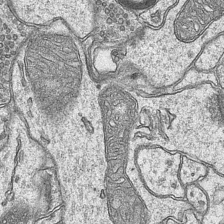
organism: Mouse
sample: CA1 Hippocampus